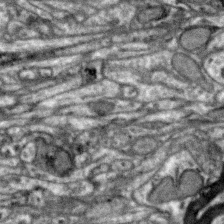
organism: Zebra finch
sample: Brain